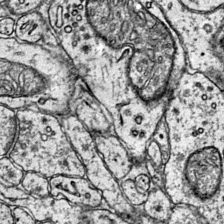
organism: Mouse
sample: Primary visual cortex